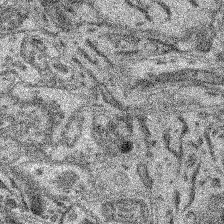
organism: Mouse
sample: Retina